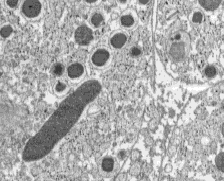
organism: C57BL Mouse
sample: Pancreatic islet